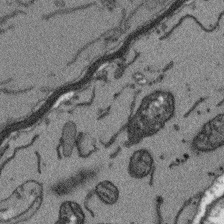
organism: Arabidopsis thaliana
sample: Root tip